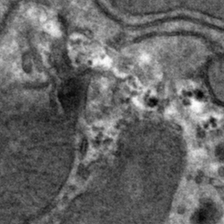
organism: Mouse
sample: Mouse hepatocytes